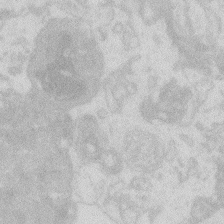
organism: Zebrafish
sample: Macrophage